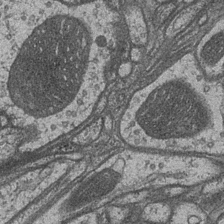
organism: Drosophila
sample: Optic medulla